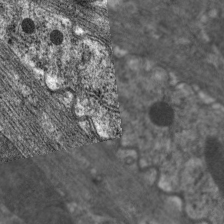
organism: C. elegans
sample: Pharynx